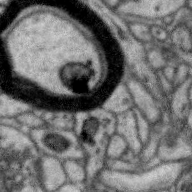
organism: Zebra finch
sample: Brain